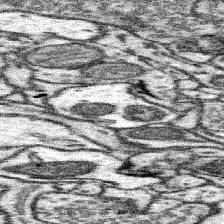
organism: Mouse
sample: Somatosensory cortex neuropil